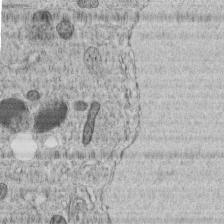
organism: C. elegans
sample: C. elegans embryo early stage